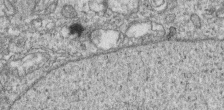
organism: Human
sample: HeLa cell HIV synapse